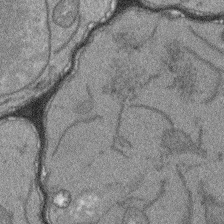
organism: Arabidopsis thaliana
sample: Root tip